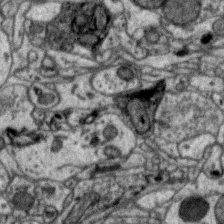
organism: Zebra finch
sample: Brain